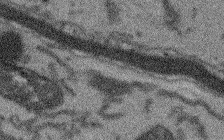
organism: Arabidopsis thaliana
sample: Root tip